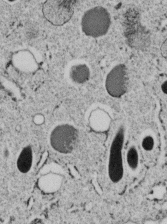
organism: C. elegans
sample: C. elegans embryo early stage